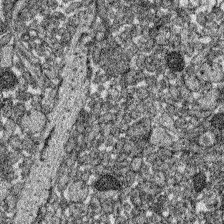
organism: Zebrafish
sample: Larval olfactory bulb